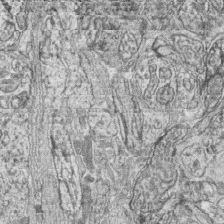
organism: Zebrafish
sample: synaptic ribbons in rod cells and cone cells